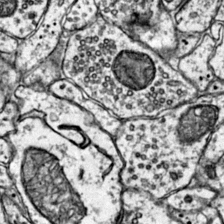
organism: Mouse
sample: Primary visual cortex